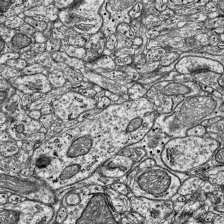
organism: Mouse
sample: Visual Cortex